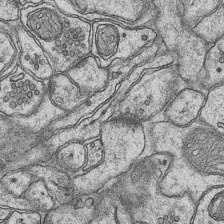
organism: Mouse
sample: CA1 Hippocampus